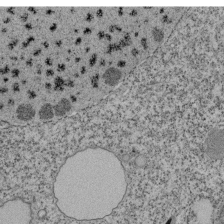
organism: Tetrahymena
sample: Cilia in tetrahymena